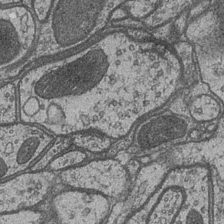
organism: Drosophila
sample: Optic medulla